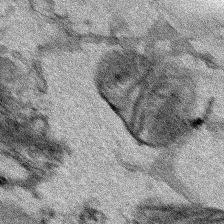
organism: Human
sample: Mitochondria in HCT116 cells